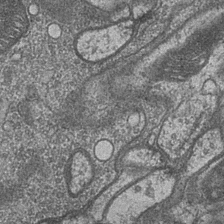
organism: Drosophila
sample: Optic medulla